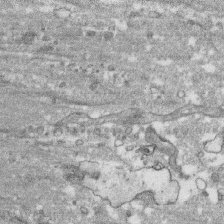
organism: Human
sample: CRL-1474